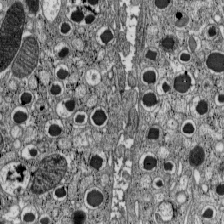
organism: C57BL Mouse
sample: Pancreatic islet